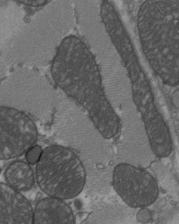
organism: C57BL Mouse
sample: Heart